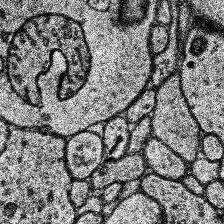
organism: Human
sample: Temporal Lobe